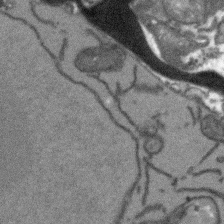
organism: Arabidopsis thaliana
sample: Root tip